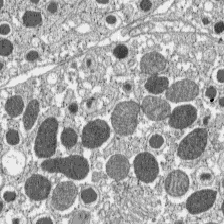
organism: C57BL Mouse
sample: Pancreatic islet